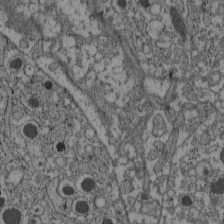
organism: C57BL Mouse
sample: Pancreatic islet